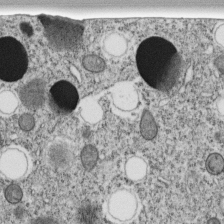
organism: C. elegans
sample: C. elegans embryo early stage